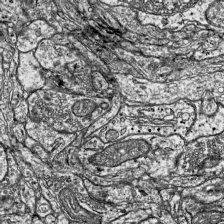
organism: Mouse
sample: Visual Cortex